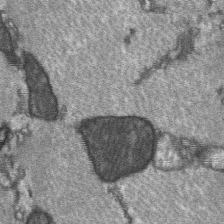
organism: C57BL Mouse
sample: Soleus